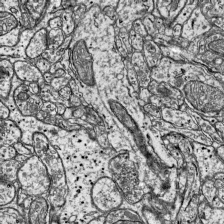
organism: Mouse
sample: Visual Cortex